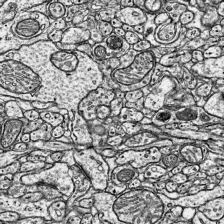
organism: Mouse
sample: Visual Cortex